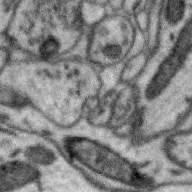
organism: Zebra finch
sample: Brain